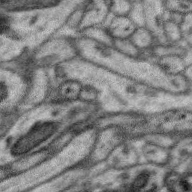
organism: Zebra finch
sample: Brain